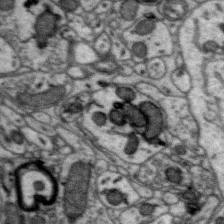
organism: Zebra finch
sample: Brain